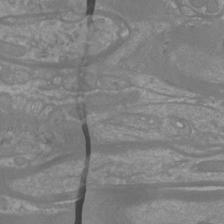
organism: Mouse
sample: Cortical neurons